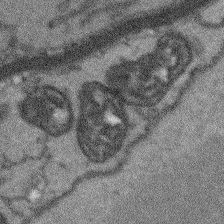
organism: Arabidopsis thaliana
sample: Root tip